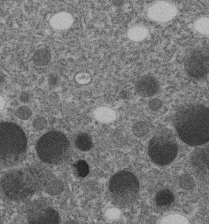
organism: C. elegans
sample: C. elegans embryo early stage